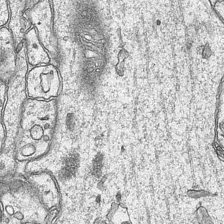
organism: Mouse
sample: CA1 Hippocampus